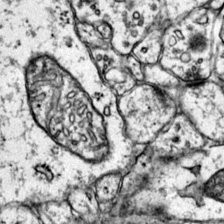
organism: Mouse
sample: Primary visual cortex